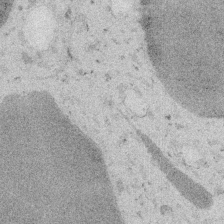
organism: Embia sp.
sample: Silk gland